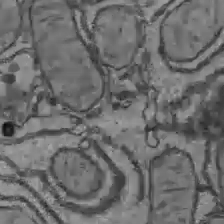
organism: C57BL Mouse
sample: Liver